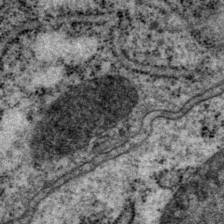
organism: P. pacificus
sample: Pharynx